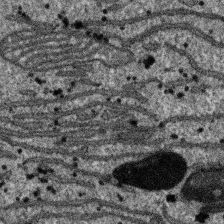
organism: Human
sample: Lung epithelial cells infected with SARS-CoV-2